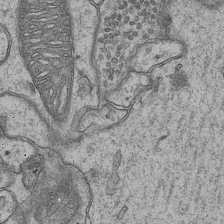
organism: Mouse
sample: CA1 Hippocampus